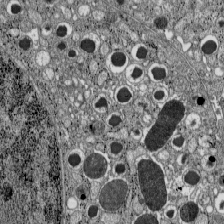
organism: C57BL Mouse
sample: Pancreatic islet